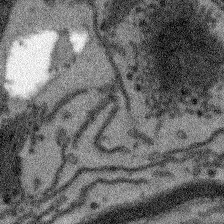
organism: Arabidopsis thaliana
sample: Root tip